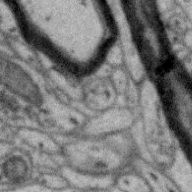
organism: Zebra finch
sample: Brain